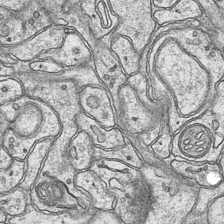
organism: Mouse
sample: CA1 Hippocampus